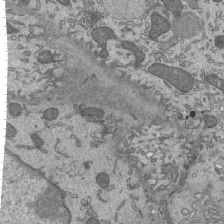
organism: Mouse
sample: Mouse epididymis efferent ductule cilia